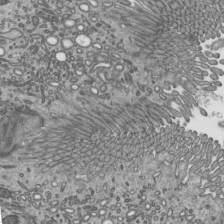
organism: Mouse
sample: Mouse epididymis efferent ductule cilia